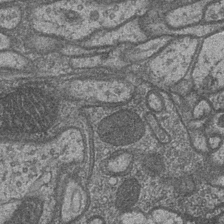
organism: Drosophila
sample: Optic medulla